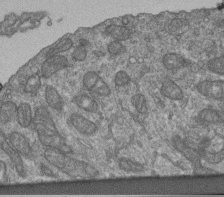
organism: Human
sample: Retinal organoid Rod and Cone cells